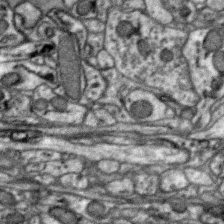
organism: Zebra finch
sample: Brain